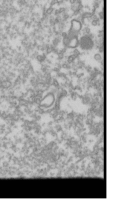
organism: Drosophila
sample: Cell division; meiosis; drosophila spermatocytes